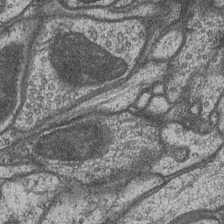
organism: Drosophila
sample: Optic medulla